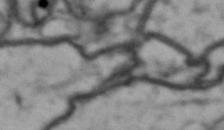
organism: Drosophila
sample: Brain